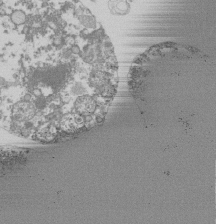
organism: Mouse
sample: Activated Pmel transgenic CD8+ T Cells